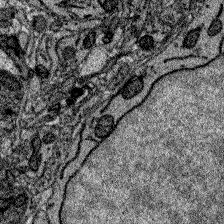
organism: Zebrafish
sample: Larval olfactory bulb